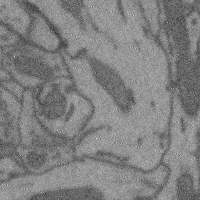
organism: Mouse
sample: Cerebral cortex